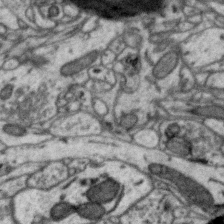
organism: Zebra finch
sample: Brain